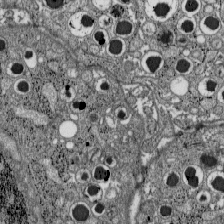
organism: C57BL Mouse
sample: Pancreatic islet